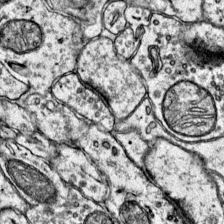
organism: Mouse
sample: Primary visual cortex